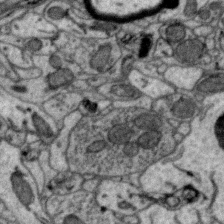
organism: Zebra finch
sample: Brain